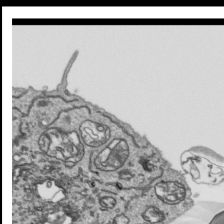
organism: Human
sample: Mitochondria in HCT116 cells